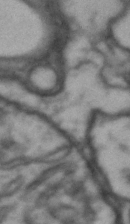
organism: Drosophila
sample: Brain